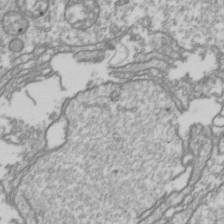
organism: Drosophila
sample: Cell division; meiosis; drosophila spermatocytes